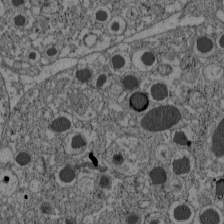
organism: C57BL Mouse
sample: Pancreatic islet